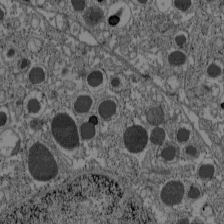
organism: C57BL Mouse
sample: Pancreatic islet